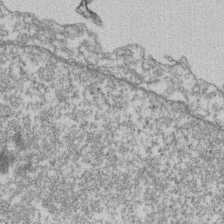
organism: Mouse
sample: T cell stromal cell synapse